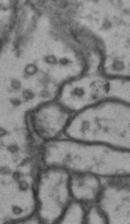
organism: Drosophila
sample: Brain